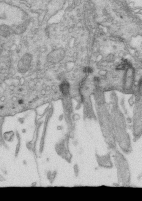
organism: Mouse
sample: Multiciliated cells